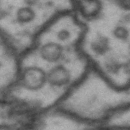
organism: Drosophila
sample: Brain